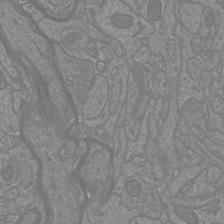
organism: Mouse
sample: Cortical neurons